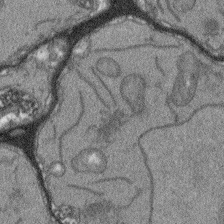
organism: Arabidopsis thaliana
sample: Root tip